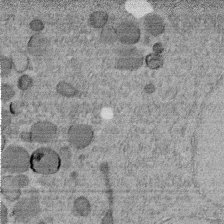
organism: C. elegans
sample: C. elegans embryo early stage